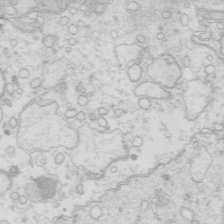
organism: Mouse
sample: Multiciliated cells